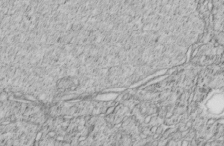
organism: C. elegans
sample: C. elegans embryo early stage